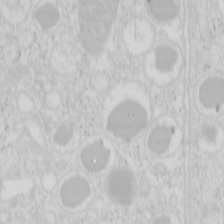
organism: Mouse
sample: Pancreas